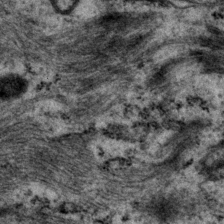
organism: P. pacificus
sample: Pharynx